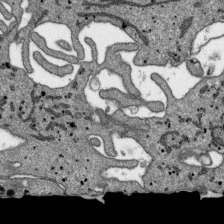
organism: Human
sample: Lung epithelial cells, uninfected (mock) control